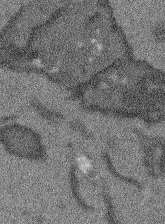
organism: Arabidopsis thaliana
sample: Root tip